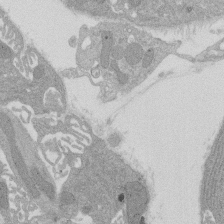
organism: Rat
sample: Salivary granule